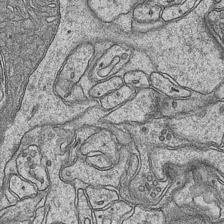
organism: Mouse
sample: CA1 Hippocampus